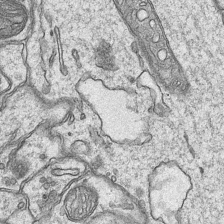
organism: Mouse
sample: CA1 Hippocampus